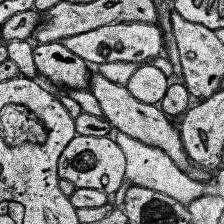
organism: Human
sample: Temporal Lobe